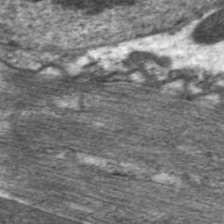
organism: C. elegans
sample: Pharynx